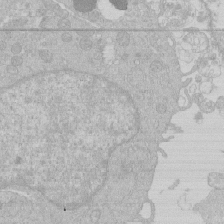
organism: Human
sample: Macrophage cells